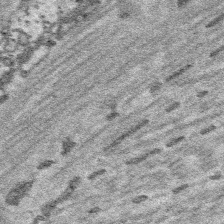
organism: Platynereis dumerilii